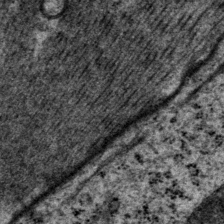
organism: P. pacificus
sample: Pharynx